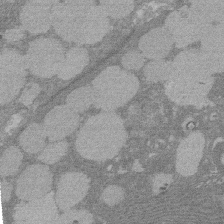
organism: Rat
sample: Salivary granule